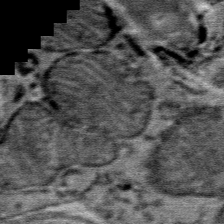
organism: Mouse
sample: Mouse Salivary gland